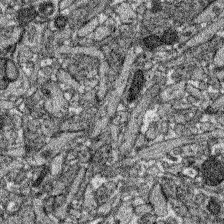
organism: Zebrafish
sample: Larval olfactory bulb